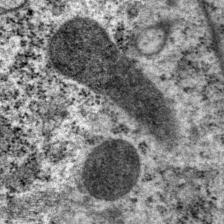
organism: P. pacificus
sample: Pharynx